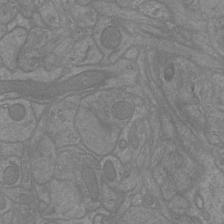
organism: Mouse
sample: Cortical neurons